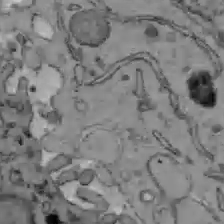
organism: C57BL Mouse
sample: Liver